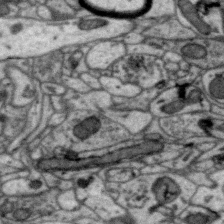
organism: Zebra finch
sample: Brain